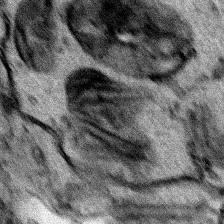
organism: Human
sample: Mitochondria in HCT116 cells